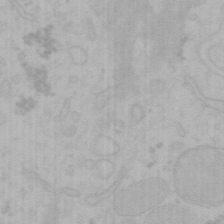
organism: Mouse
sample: Choroid plexus